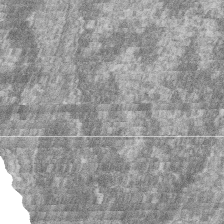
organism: Zebrafish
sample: Cilia; retinal pigment epithelium